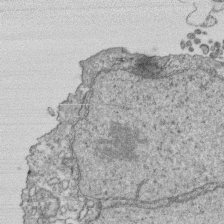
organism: Human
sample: HeLa cell HIV synapse